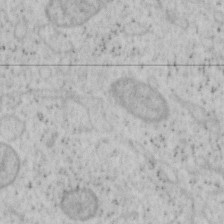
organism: Human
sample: HeLa cells